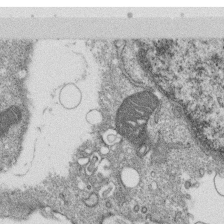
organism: African green monkey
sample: Vero E6 cells infected with SARS-CoV-2